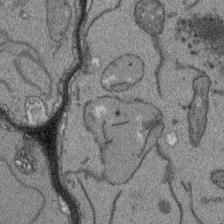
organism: Arabidopsis thaliana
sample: Root tip